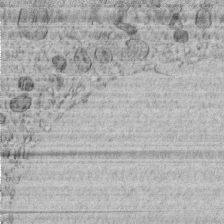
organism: C. elegans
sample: C. elegans embryo early stage